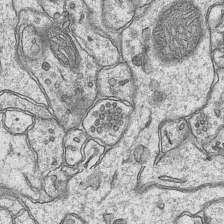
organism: Mouse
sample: CA1 Hippocampus